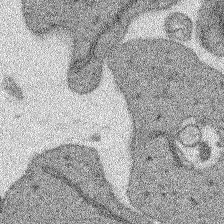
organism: Human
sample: HeLa cells